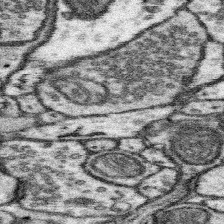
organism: Mouse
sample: Somatosensory cortex neuropil